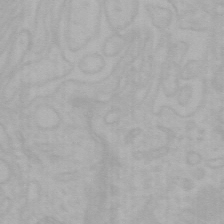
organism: Mouse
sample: Choroid plexus